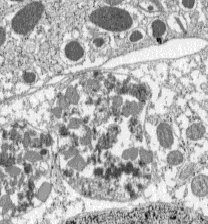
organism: C57BL Mouse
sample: Pancreatic islet